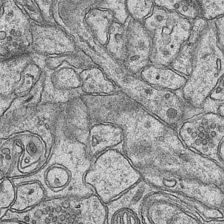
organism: Mouse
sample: CA1 Hippocampus